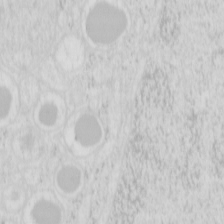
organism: Mouse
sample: Pancreas